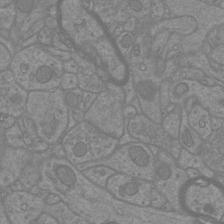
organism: Mouse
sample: Cortical neurons